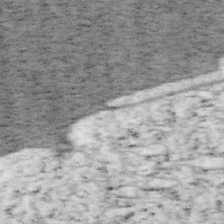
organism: Mouse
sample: OT-I killer T cells with ID8 ovarian cancer cells